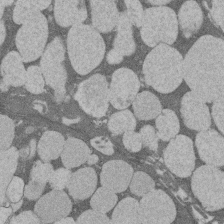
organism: Rat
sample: Salivary granule